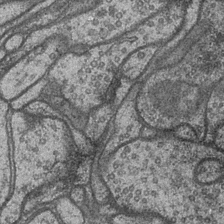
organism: Drosophila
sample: Optic medulla